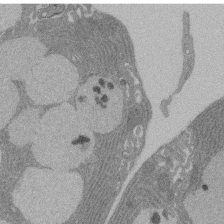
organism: Rat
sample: Salivary granule